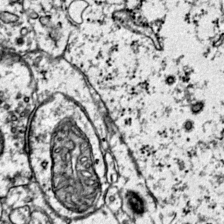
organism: Mouse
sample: Primary visual cortex